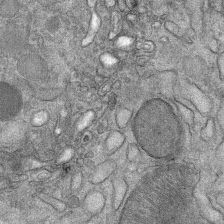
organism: Mouse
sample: Mouse Salivary gland